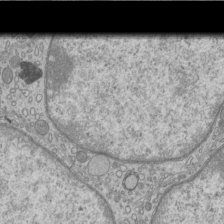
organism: Mouse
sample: Cilia; mouse epididymis